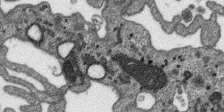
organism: Human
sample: Lung epithelial cells infected with SARS-CoV-2